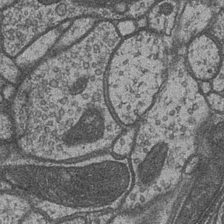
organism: Drosophila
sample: Optic medulla